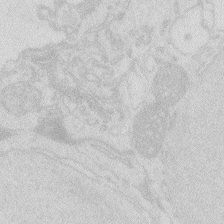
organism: Zebrafish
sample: Macrophage